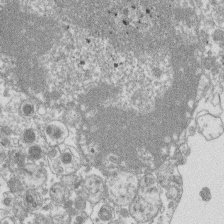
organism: Human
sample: HeLa cell HIV synapse